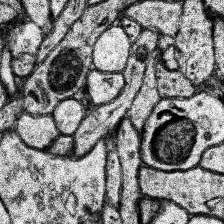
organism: Human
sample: Temporal Lobe